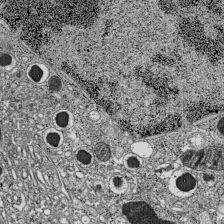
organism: C57BL Mouse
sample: Pancreatic islet